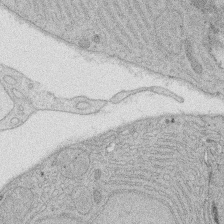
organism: Rat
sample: Salivary granule